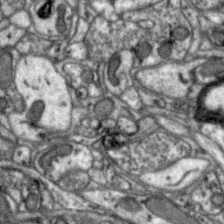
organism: Zebra finch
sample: Brain